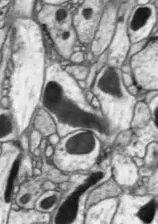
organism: Drosophila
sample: Optic lobe